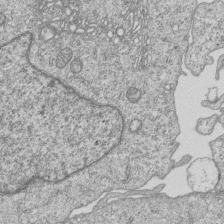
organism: Human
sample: MDA-MB-231 cells